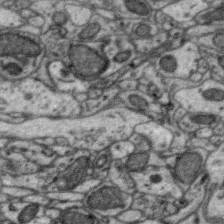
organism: Zebra finch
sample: Brain